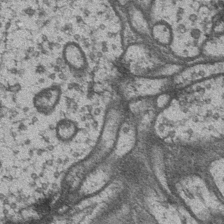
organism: Drosophila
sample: Optic medulla